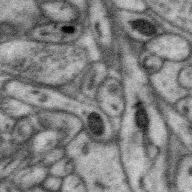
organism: Zebra finch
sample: Brain